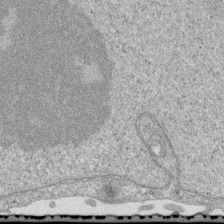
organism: Human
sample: HeLa cell HIV synapse